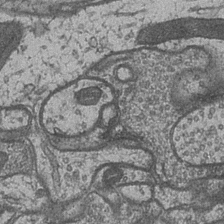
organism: Drosophila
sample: Optic medulla